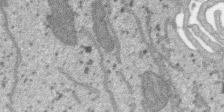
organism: Human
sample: Lung epithelial cells infected with SARS-CoV-2